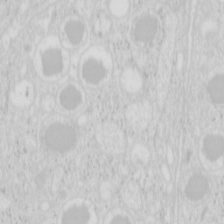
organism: Mouse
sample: Pancreas